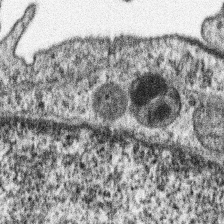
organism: Human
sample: HeLa cells